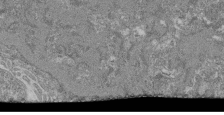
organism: Mouse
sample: Glomerulus